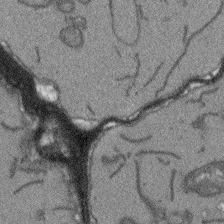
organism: Arabidopsis thaliana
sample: Root tip